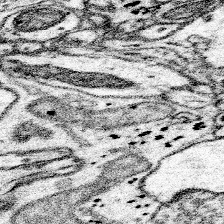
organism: Mouse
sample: Somatosensory cortex neuropil